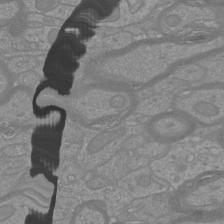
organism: Mouse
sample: Cortical neurons